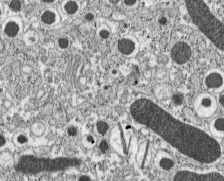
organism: C57BL Mouse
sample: Pancreatic islet